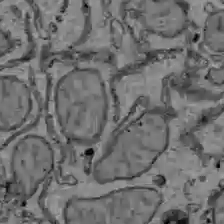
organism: C57BL Mouse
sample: Liver